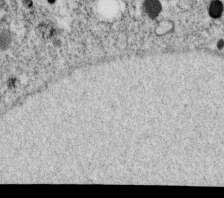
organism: C. elegans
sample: C. elegans oocyte; sperm cells